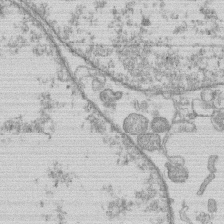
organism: Human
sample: Macrophage cells